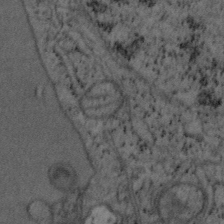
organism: Human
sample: HeLa cells